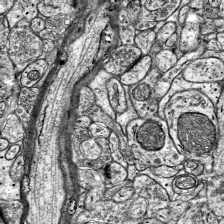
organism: Mouse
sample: Visual Cortex